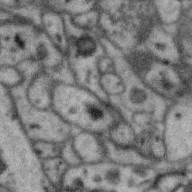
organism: Zebra finch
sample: Brain